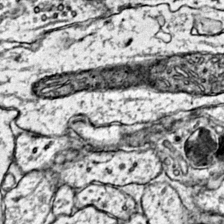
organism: Mouse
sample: Primary visual cortex